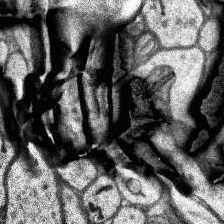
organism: Human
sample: Temporal Lobe